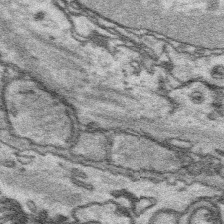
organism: Platynereis dumerilii